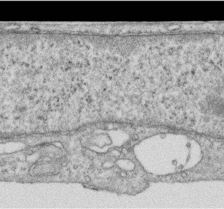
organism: Human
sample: Centriole in RPE cells